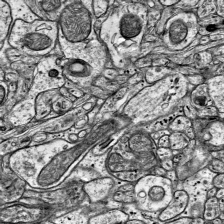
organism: Mouse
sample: Visual Cortex